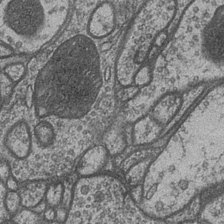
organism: Drosophila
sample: Optic medulla